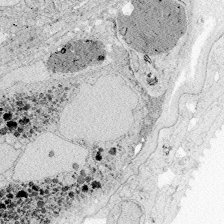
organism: Zebrafish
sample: Whole-Brain